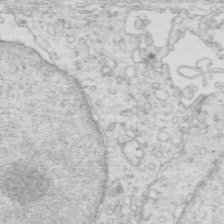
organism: Mouse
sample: Multiciliated cells